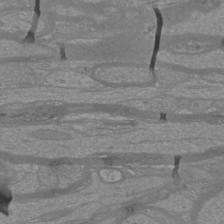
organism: Mouse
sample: Cortical neurons